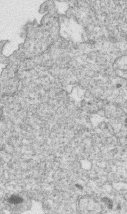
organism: Human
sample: HeLa cell HIV synapse